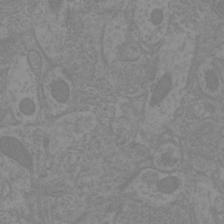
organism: Mouse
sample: Cortical neurons